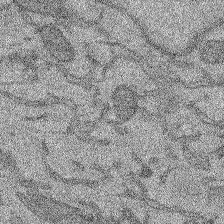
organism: Human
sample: HeLa cells